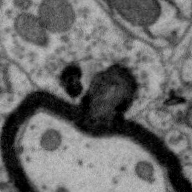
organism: Zebra finch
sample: Brain